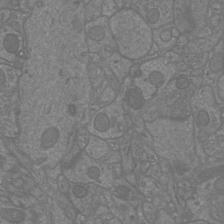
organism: Mouse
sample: Cortical neurons